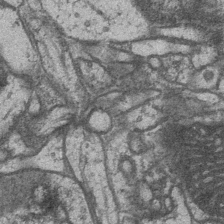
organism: Drosophila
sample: Optic medulla